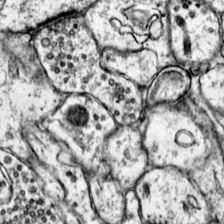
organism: Mouse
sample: Primary visual cortex